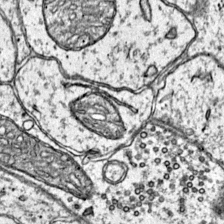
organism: Mouse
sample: Primary visual cortex